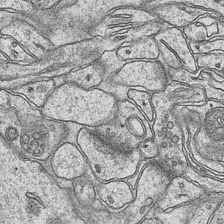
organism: Mouse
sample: CA1 Hippocampus